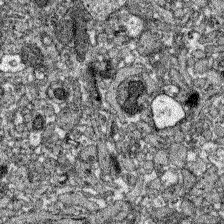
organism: Zebrafish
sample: Larval olfactory bulb